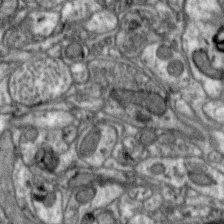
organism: Zebra finch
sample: Brain